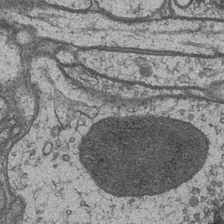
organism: Drosophila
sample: Optic medulla